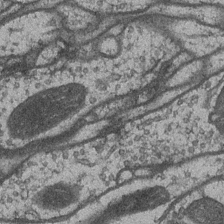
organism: Drosophila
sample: Optic medulla